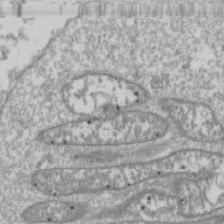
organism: Drosophila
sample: Cell division; meiosis; drosophila spermatocytes